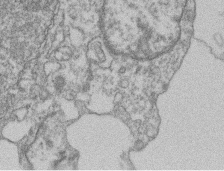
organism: Mouse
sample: T cell stromal cell synapse